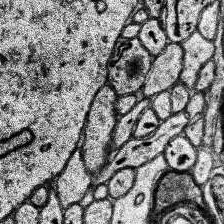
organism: Human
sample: Temporal Lobe